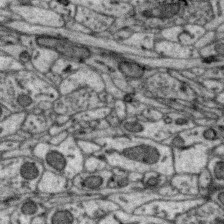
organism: Zebra finch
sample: Brain